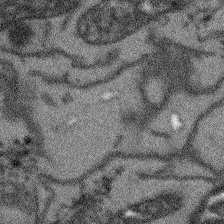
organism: Arabidopsis thaliana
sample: Root tip